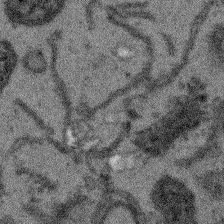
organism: Arabidopsis thaliana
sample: Root tip